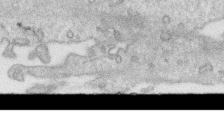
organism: Human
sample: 1205lu cells